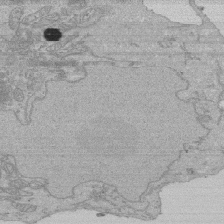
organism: Human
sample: Activated Jurkat CD4+ T cells